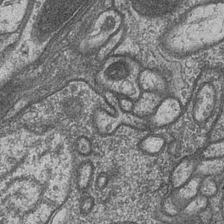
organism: Drosophila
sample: Optic medulla